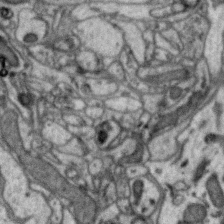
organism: Zebra finch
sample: Brain